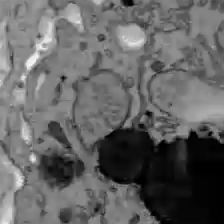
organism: C57BL Mouse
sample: Liver